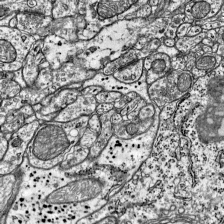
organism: Mouse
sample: Visual Cortex